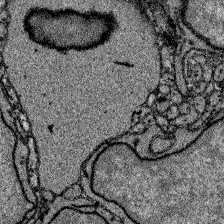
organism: Zebrafish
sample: Larval olfactory bulb